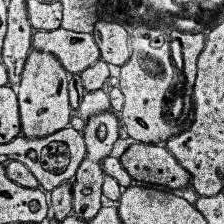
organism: Human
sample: Temporal Lobe